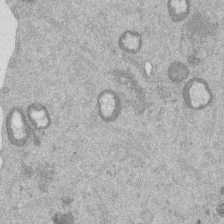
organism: Mouse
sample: Dividing mouse embryo 1 cell stage